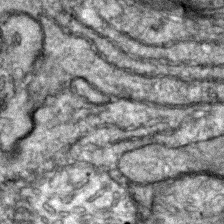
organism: Zebrafish